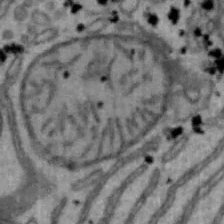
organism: Mouse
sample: Liver